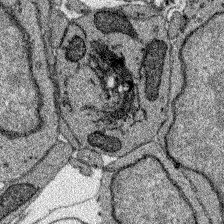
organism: Zebrafish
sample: Larval olfactory bulb